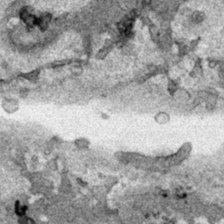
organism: Human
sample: Mitochondria in HCT116 cells